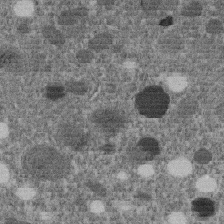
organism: C. elegans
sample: C. elegans embryo early stage